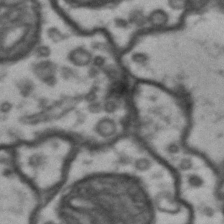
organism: Drosophila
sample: Brain